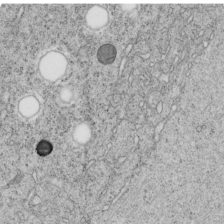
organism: C. elegans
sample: C. elegans embryo early stage